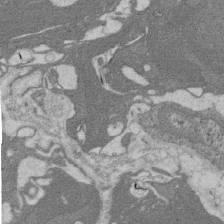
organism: Rat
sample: Salivary granule